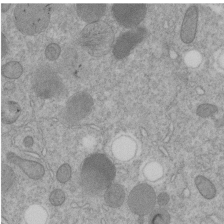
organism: C. elegans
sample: C. elegans embryo early stage